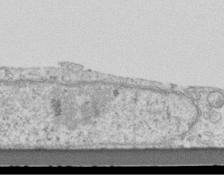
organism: Mouse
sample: Centriole in ependymal cells